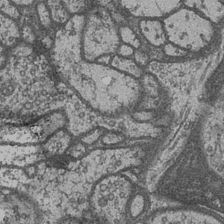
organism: Drosophila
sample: Optic medulla